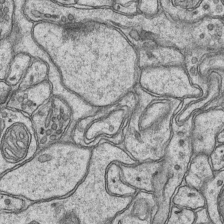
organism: Mouse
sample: CA1 Hippocampus